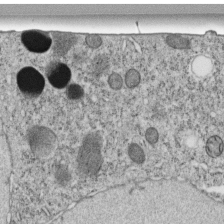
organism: C. elegans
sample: C. elegans embryo early stage